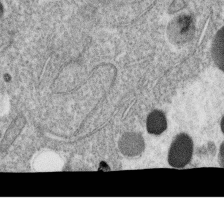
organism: C. elegans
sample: C. elegans oocyte; sperm cells